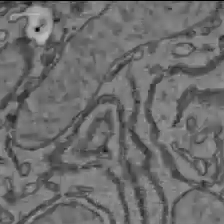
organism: C57BL Mouse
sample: Liver